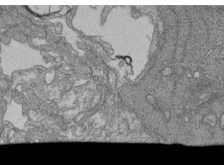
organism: Human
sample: Retinal organoid Rod and Cone cells